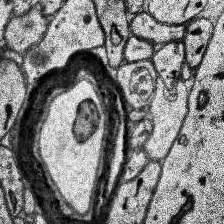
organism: Human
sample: Temporal Lobe